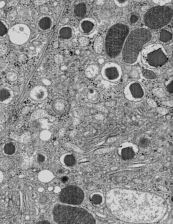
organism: C57BL Mouse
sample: Pancreatic islet